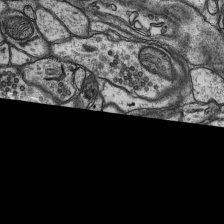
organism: Rat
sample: Hippocampus